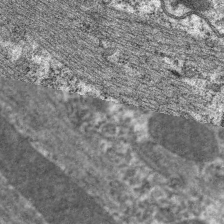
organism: C. elegans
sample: Pharynx